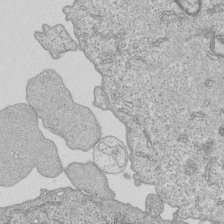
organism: Human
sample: MDA-MB-231 cells